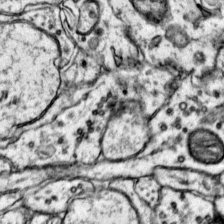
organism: Mouse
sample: Primary visual cortex